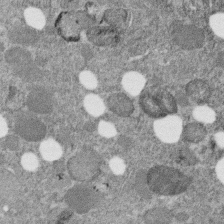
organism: C. elegans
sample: C. elegans embryo early stage